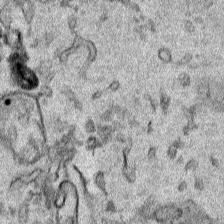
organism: Human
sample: Mitochondria in HCT116 cells